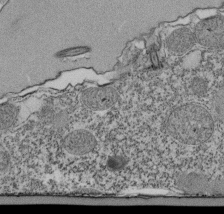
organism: Tetrahymena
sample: Cilia in tetrahymena